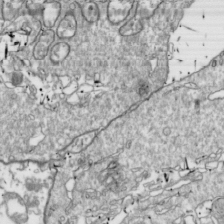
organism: Drosophila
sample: Cell division; meiosis; drosophila spermatocytes